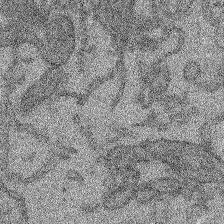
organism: Human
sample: HeLa cells